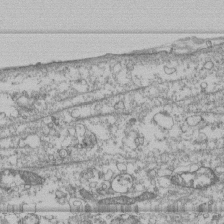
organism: Human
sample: Fibroblast cells